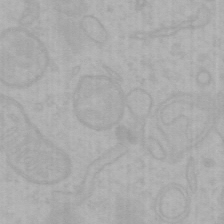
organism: Mouse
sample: Choroid plexus